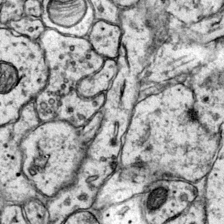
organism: Mouse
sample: Primary visual cortex